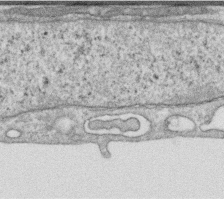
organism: Human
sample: Centriole in RPE cells